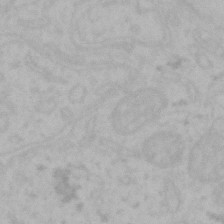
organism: Mouse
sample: Choroid plexus